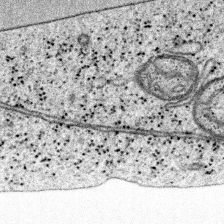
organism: Human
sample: HeLa cells